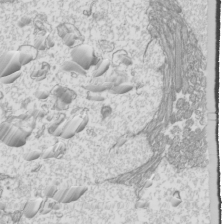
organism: Mouse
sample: Cilia; mouse epididymis